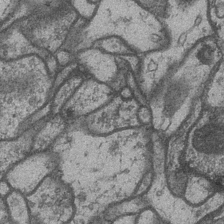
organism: Drosophila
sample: Optic medulla